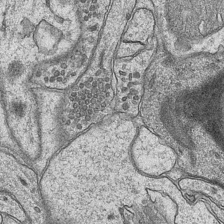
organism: Mouse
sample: CA1 Hippocampus